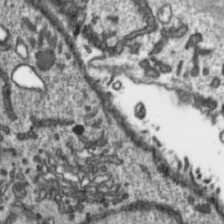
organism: Toxoplasma gondii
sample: Parasites in a vacuole inside a host cell